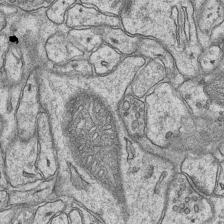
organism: Mouse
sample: CA1 Hippocampus